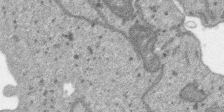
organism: Human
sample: Lung epithelial cells infected with SARS-CoV-2